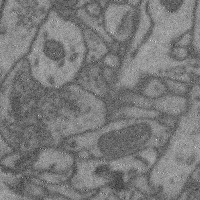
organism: Mouse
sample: Cerebral cortex